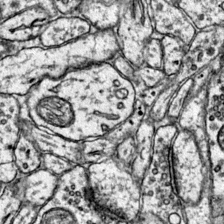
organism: Mouse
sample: Primary visual cortex